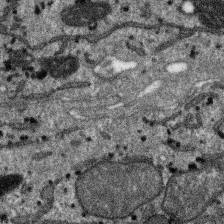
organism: Human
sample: Lung epithelial cells infected with SARS-CoV-2